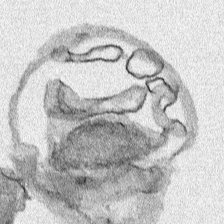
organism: Human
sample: Mitochondria in HCT116 cells